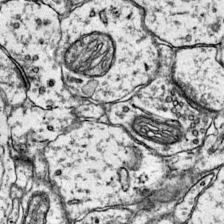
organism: Mouse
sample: Primary visual cortex